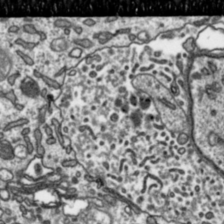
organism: Toxoplasma gondii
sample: Parasites in a vacuole inside a host cell